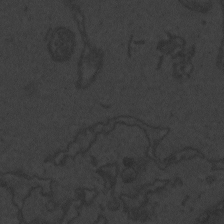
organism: Zebrafish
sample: Macrophage infected with Toxoplasma gondii